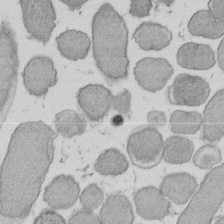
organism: E. coli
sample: Bacterial nucleoid